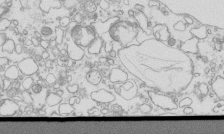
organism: Mouse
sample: Macrophages